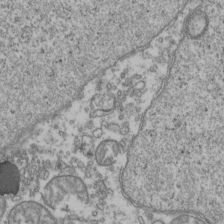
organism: Human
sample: Activated Jurkat CD4+ T cells